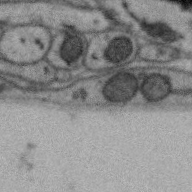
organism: Zebra finch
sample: Brain